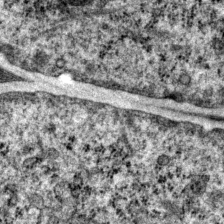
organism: P. pacificus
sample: Pharynx